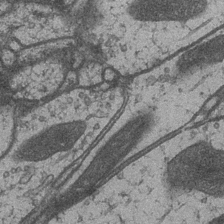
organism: Drosophila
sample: Optic medulla